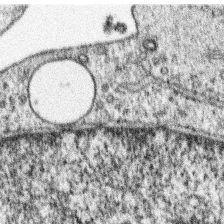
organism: Human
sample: HeLa cells